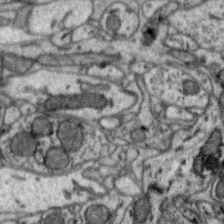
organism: Zebra finch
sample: Brain